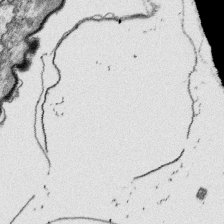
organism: Platynereis dumerilii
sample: Parapodia